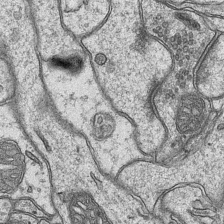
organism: Mouse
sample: CA1 Hippocampus